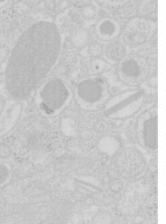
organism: Mouse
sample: Pancreas